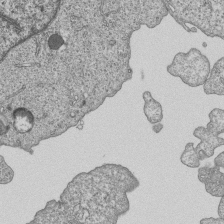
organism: Human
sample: MDA-MB-231 cells